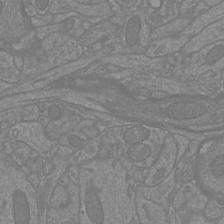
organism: Mouse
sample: Cortical neurons